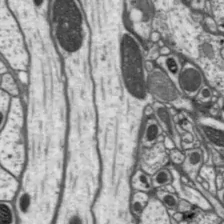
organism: Drosophila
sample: Protocerebral bridge